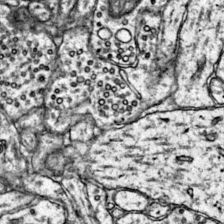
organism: Mouse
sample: Primary visual cortex